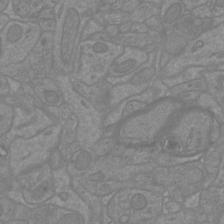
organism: Mouse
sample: Cortical neurons